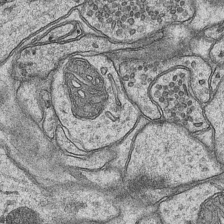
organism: Mouse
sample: CA1 Hippocampus